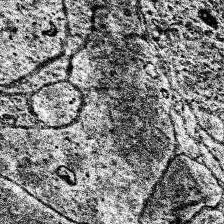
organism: Human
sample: Temporal Lobe